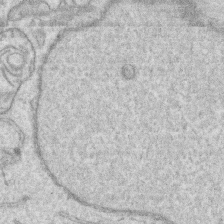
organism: Human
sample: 1205lu cells